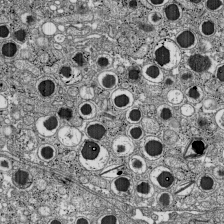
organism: C57BL Mouse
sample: Pancreatic islet